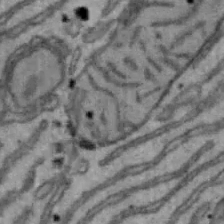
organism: Mouse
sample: Liver